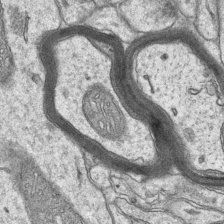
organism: Mouse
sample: CA1 Hippocampus